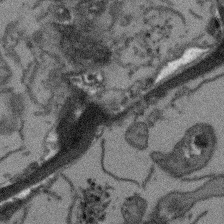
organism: Arabidopsis thaliana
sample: Root tip